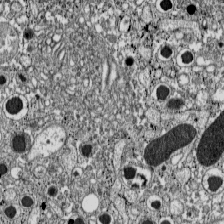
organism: C57BL Mouse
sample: Pancreatic islet